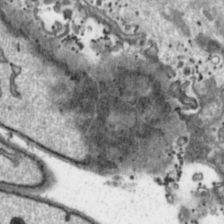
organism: Toxoplasma gondii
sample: Parasites in a vacuole inside a host cell